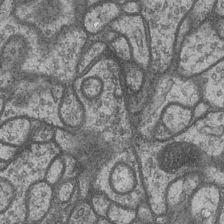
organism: Drosophila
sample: Optic medulla